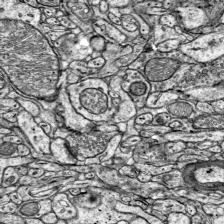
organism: Mouse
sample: Visual Cortex